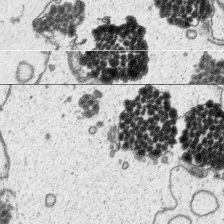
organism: Platynereis dumerilii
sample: Parapodia